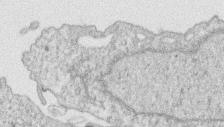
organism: Human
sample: HeLa cell HIV synapse